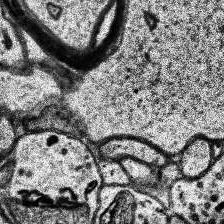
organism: Human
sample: Temporal Lobe